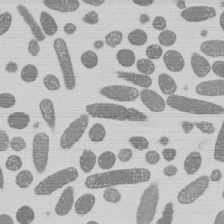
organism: E. coli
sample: Bacterial nucleoid